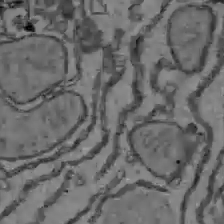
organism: C57BL Mouse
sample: Liver